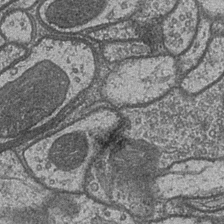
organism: Drosophila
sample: Optic medulla